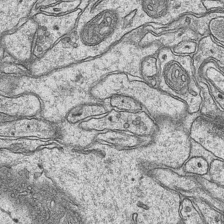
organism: Mouse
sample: CA1 Hippocampus